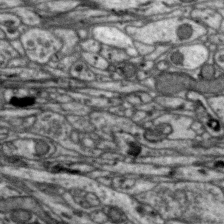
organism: Zebra finch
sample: Brain